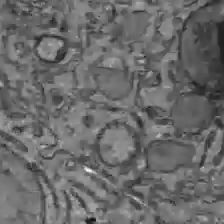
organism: C57BL Mouse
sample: Liver